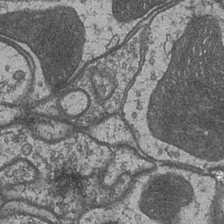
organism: Drosophila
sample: Optic medulla